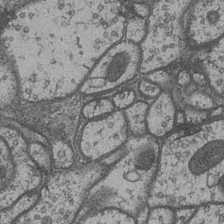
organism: Drosophila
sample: Optic medulla